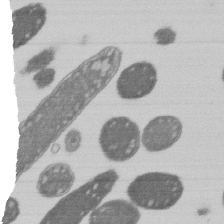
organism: E. coli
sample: Bacterial nucleoid